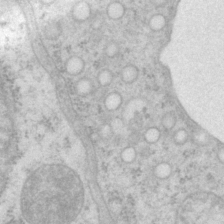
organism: P. pacificus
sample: Pharynx